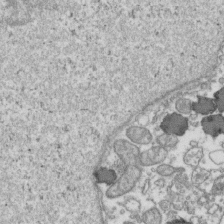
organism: Human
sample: Activated Jurkat CD4+ T cells